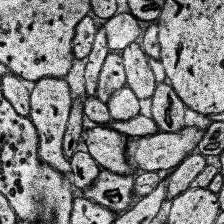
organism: Human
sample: Temporal Lobe